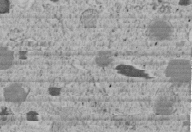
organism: C. elegans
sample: C. elegans embryo early stage